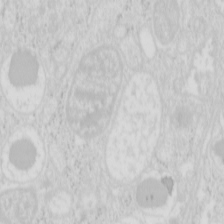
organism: Mouse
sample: Pancreas